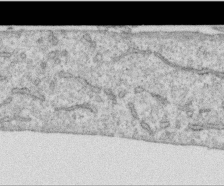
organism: Human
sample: Centriole in RPE cells